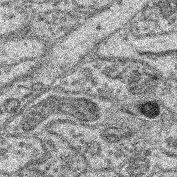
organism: Mouse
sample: Retina